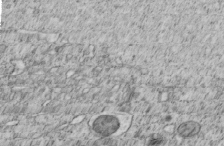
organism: C. elegans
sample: C. elegans embryo early stage